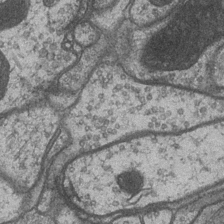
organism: Drosophila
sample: Optic medulla